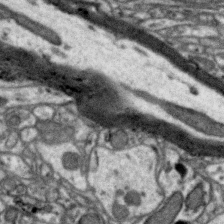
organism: Zebra finch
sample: Brain